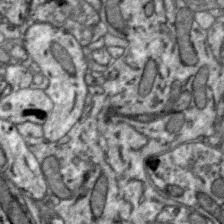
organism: Zebra finch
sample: Brain